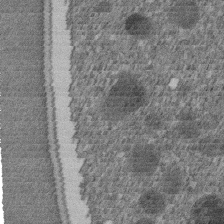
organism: C. elegans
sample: C. elegans embryo early stage